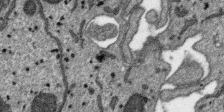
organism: Human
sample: Lung epithelial cells, uninfected (mock) control